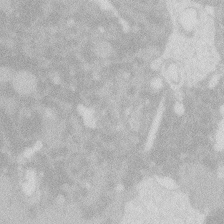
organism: Zebrafish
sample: Macrophage